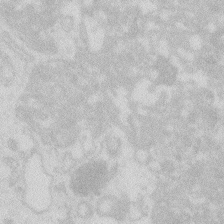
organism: Zebrafish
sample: Macrophage